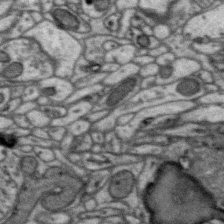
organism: Zebra finch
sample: Brain